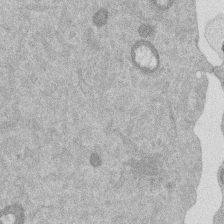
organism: Mouse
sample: Dividing mouse embryo 1 cell stage